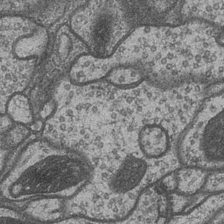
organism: Drosophila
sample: Optic medulla